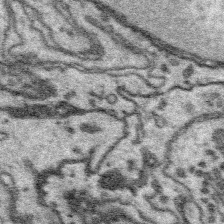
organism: Platynereis dumerilii